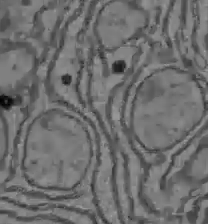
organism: C57BL Mouse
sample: Liver